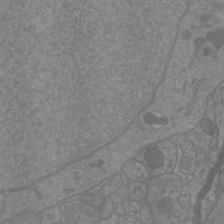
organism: Mouse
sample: Cortical neurons